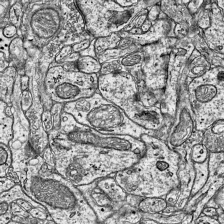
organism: Mouse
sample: Visual Cortex